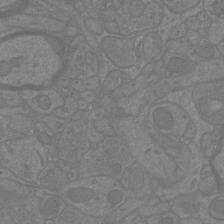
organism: Mouse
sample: Cortical neurons